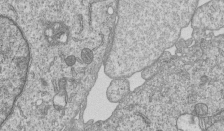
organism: Human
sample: MDA-MB-231 cells